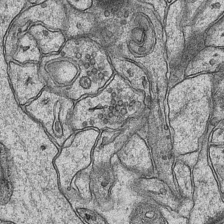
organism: Mouse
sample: CA1 Hippocampus